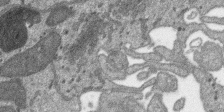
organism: Human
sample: Lung epithelial cells infected with SARS-CoV-2